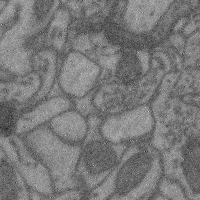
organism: Mouse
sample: Cerebral cortex